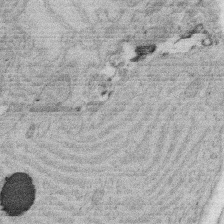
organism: Rat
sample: Salivary granule